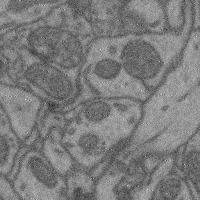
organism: Mouse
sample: Cerebral cortex